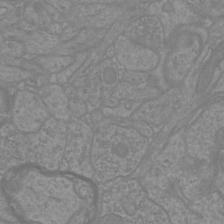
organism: Mouse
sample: Cortical neurons